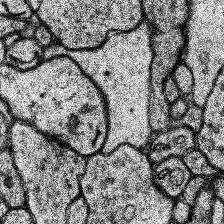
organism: Human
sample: Temporal Lobe